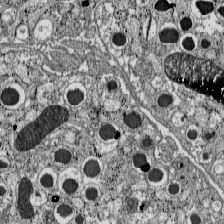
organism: C57BL Mouse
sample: Pancreatic islet